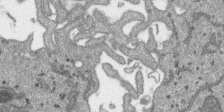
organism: Human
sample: Lung epithelial cells infected with SARS-CoV-2